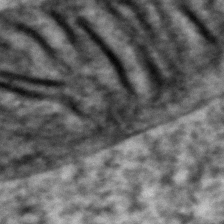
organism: Zebrafish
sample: Zebrafish embryo